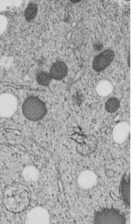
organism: C. elegans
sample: C. elegans embryo early stage